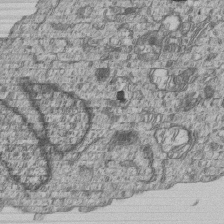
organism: Human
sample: MDA-MB-231 cells